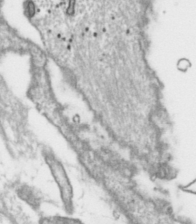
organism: Toxoplasma gondii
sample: Parasites in a vacuole inside a host cell